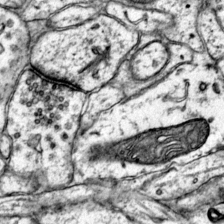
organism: Mouse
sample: Primary visual cortex